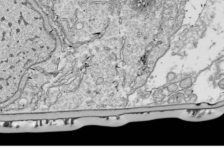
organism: Drosophila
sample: Cell division; meiosis; drosophila spermatocytes